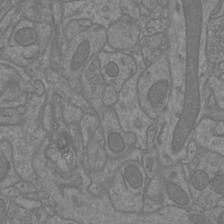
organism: Mouse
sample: Cortical neurons